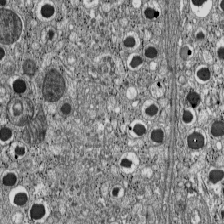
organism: C57BL Mouse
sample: Pancreatic islet